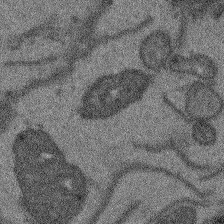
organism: Arabidopsis thaliana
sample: Root tip